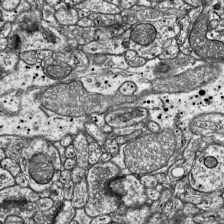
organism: Mouse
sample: Visual Cortex